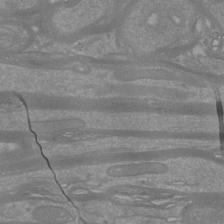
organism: Mouse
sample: Cortical neurons